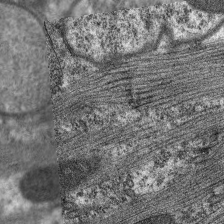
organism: C. elegans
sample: Pharynx